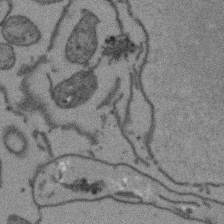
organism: Arabidopsis thaliana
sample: Root tip